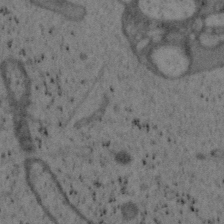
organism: Human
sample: HeLa cells